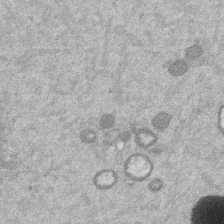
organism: Mouse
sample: Dividing mouse embryo 1 cell stage